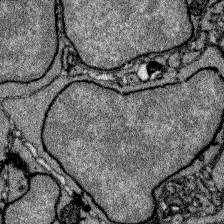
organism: Zebrafish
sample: Larval olfactory bulb